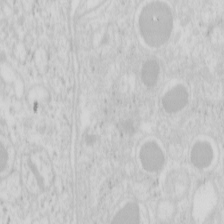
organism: Mouse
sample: Pancreas